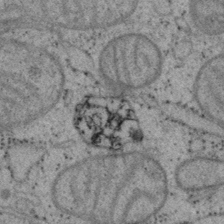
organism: Human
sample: HeLa cells